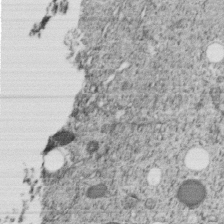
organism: C. elegans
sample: C. elegans embryo early stage